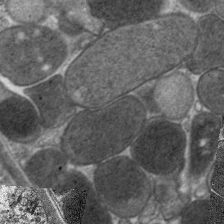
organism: C. elegans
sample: Pharynx